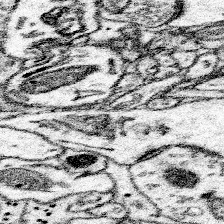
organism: Mouse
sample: Somatosensory cortex neuropil